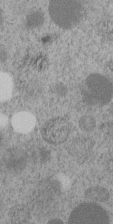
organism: C. elegans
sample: C. elegans embryo early stage